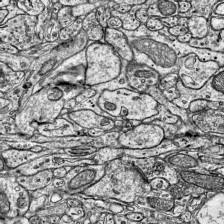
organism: Mouse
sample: Visual Cortex